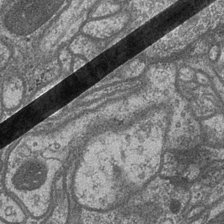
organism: Drosophila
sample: Optic medulla